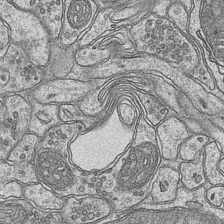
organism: Mouse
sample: CA1 Hippocampus